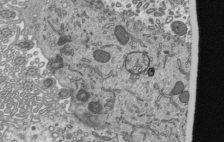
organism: Mouse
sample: Mouse epididymis efferent ductule cilia